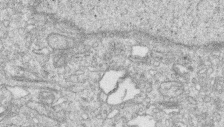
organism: Human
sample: HeLa cell HIV synapse